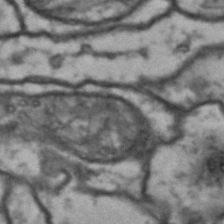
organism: Drosophila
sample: Brain